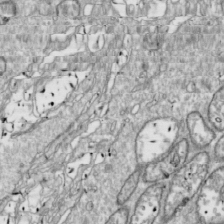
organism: Drosophila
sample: Cell division; meiosis; drosophila spermatocytes